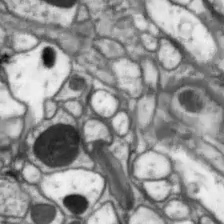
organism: Drosophila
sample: Optic lobe